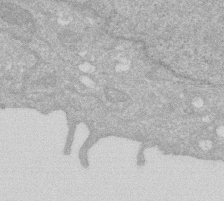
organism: Human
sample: HIV infected U937 cells